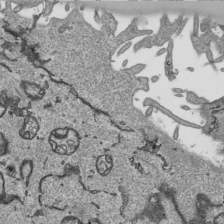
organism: Human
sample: Mitochondria in HCT116 cells